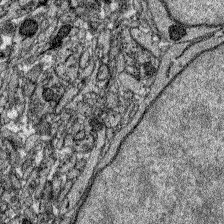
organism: Zebrafish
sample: Larval olfactory bulb